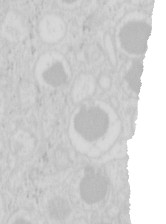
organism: Mouse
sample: Pancreas